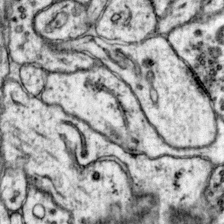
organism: Mouse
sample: Primary visual cortex